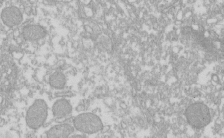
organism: Xenopus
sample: Cilia; centrioles in frog embryo cells